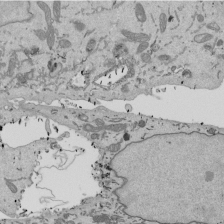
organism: Mouse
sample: ED-1 cell nuclei; centrioles